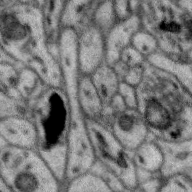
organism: Zebra finch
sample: Brain